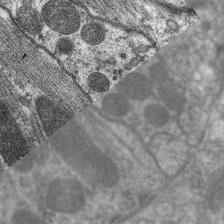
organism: C. elegans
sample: Pharynx